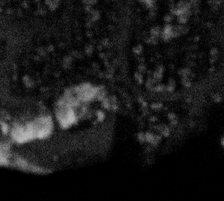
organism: Gemmata obscuriglobus